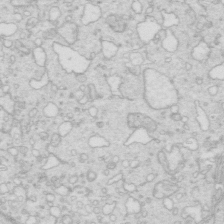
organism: Mouse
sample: Multiciliated cells